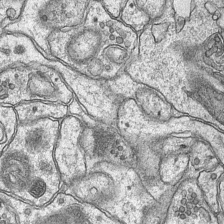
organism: Mouse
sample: CA1 Hippocampus